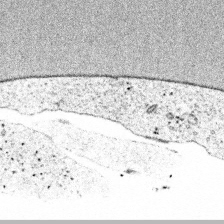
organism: Human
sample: HeLa cells